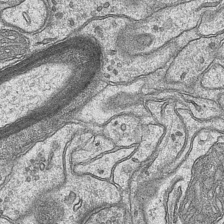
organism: Mouse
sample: CA1 Hippocampus